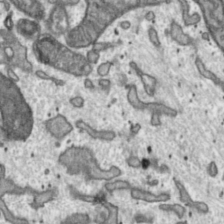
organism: Toxoplasma gondii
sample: Parasites in a vacuole inside a host cell